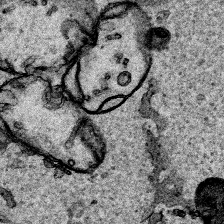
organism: Human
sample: Mitochondria in HCT116 cells